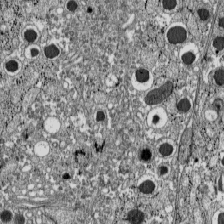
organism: C57BL Mouse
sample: Pancreatic islet